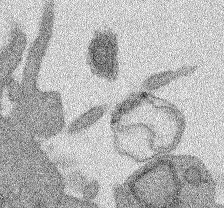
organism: Human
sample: HeLa cells